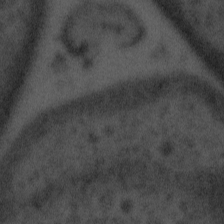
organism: Tuwongella immobilis